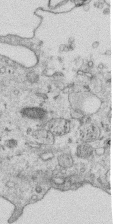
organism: Human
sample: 1205lu cells